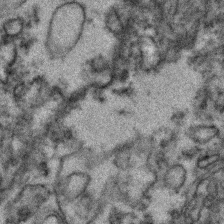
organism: Zebrafish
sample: Zebrafish embryo